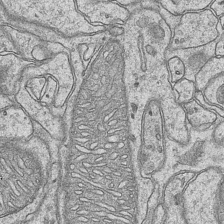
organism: Mouse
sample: CA1 Hippocampus